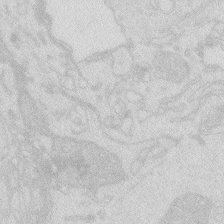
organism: Zebrafish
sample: Macrophage